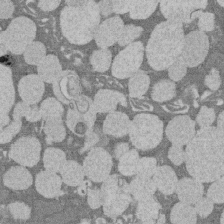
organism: Rat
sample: Salivary granule